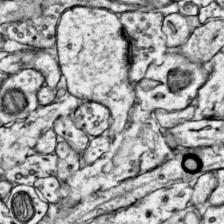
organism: Mouse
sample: Primary visual cortex